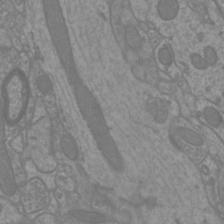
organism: Mouse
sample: Cortical neurons